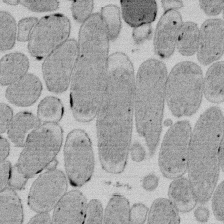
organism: E. coli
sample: Bacterial nucleoid